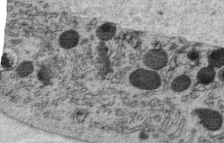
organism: C. elegans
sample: C. elegans oocyte; sperm cells